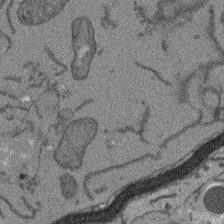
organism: Arabidopsis thaliana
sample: Root tip